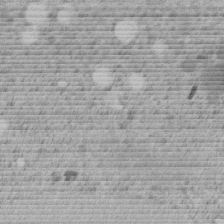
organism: C. elegans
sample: C. elegans embryo early stage